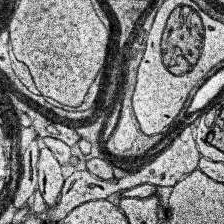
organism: Human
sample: Temporal Lobe